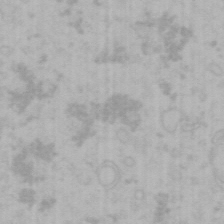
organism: Mouse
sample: Choroid plexus